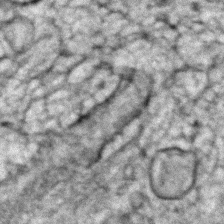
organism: Zebrafish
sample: Zebrafish embryo